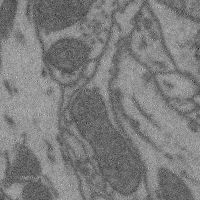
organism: Mouse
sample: Cerebral cortex